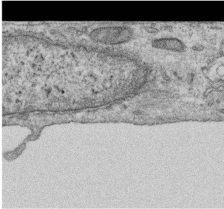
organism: Human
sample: Centriole in RPE cells